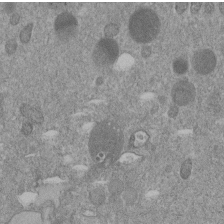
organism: C. elegans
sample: C. elegans embryo early stage